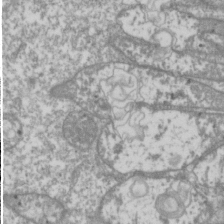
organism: Drosophila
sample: Cell division; meiosis; drosophila spermatocytes